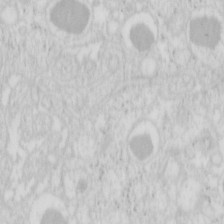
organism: Mouse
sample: Pancreas